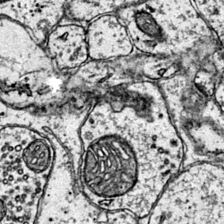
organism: Mouse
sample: Primary visual cortex